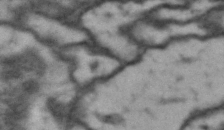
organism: Drosophila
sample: Brain